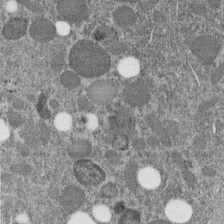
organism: C. elegans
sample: C. elegans embryo early stage